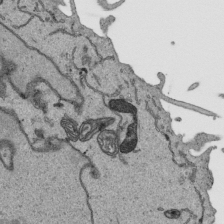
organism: Human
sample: Mitochondria in HCT116 cells